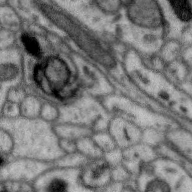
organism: Zebra finch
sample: Brain